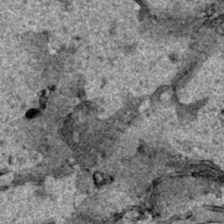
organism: Human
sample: Mitochondria in HCT116 cells